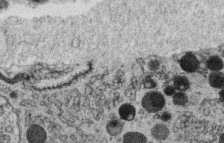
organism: C. elegans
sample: C. elegans oocyte; sperm cells